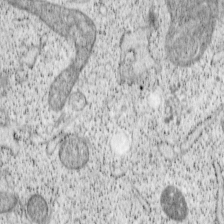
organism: African green monkey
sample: COS-7 cells